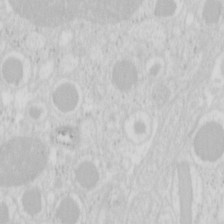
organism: Mouse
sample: Pancreas